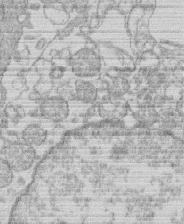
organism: Human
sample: Macrophage cells